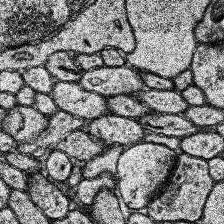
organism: Human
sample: Temporal Lobe